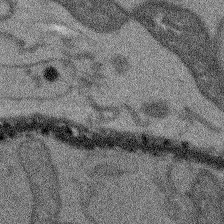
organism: Arabidopsis thaliana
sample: Root tip